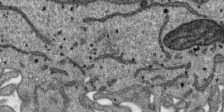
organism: Human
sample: Lung epithelial cells, uninfected (mock) control